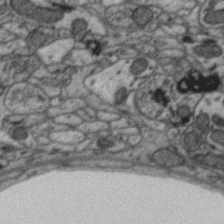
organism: Zebra finch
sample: Brain